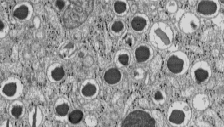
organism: C57BL Mouse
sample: Pancreatic islet